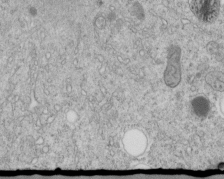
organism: C. elegans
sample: C. elegans embryo early stage